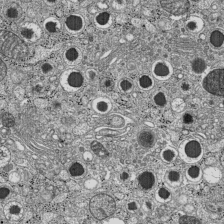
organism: C57BL Mouse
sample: Pancreatic islet